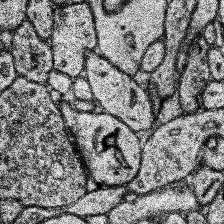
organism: Human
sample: Temporal Lobe